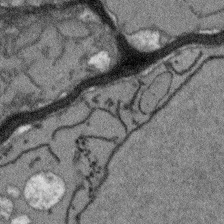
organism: Arabidopsis thaliana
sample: Root tip